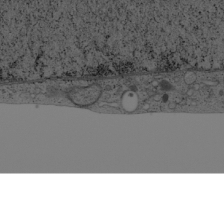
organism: African green monkey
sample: COS-7 cells